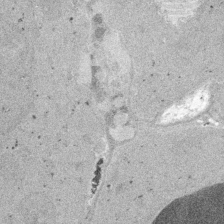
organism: Embia sp.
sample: Silk gland